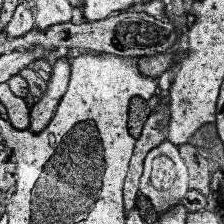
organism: Human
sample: Temporal Lobe